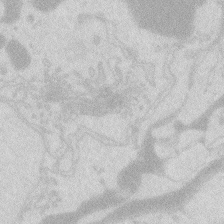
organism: Zebrafish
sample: Macrophage